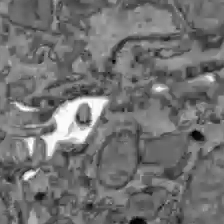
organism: C57BL Mouse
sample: Liver